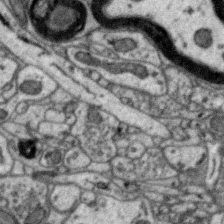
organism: Zebra finch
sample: Brain